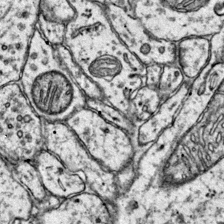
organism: Mouse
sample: Primary visual cortex